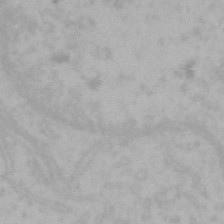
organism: Mouse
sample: Choroid plexus